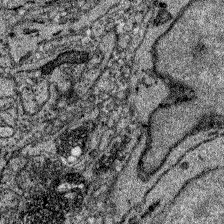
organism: Zebrafish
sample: Larval olfactory bulb